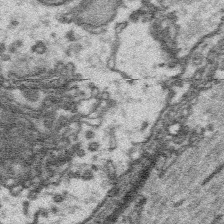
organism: Platynereis dumerilii